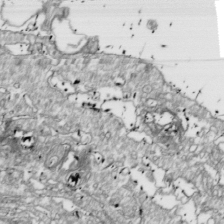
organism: Drosophila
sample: Cell division; meiosis; drosophila spermatocytes